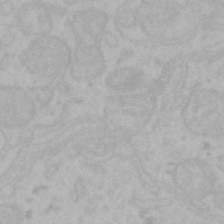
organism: Mouse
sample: Choroid plexus